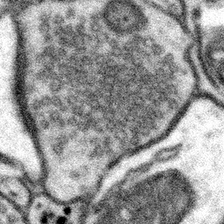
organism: Mouse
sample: Somatosensory cortex neuropil